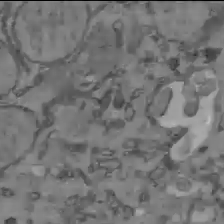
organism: C57BL Mouse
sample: Liver